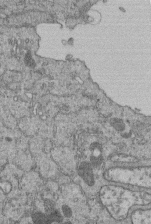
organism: Human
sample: Retinal organoid Rod and Cone cells